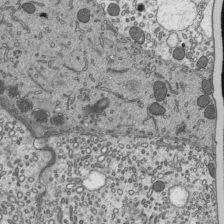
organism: Mouse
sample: Mouse epididymis efferent ductule cilia